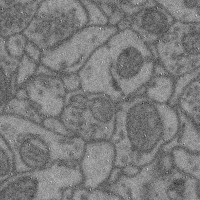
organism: Mouse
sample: Cerebral cortex